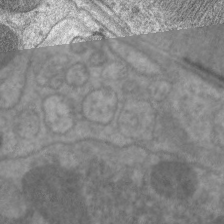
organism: C. elegans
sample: Pharynx